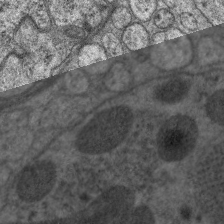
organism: C. elegans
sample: Pharynx